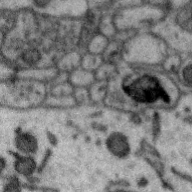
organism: Zebra finch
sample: Brain